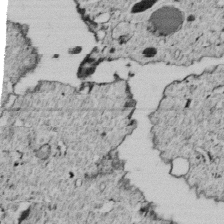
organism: C. elegans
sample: C. elegans embryo early stage